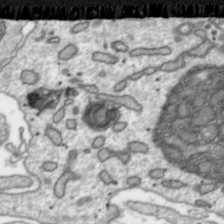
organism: Toxoplasma gondii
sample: Parasites in a vacuole inside a host cell